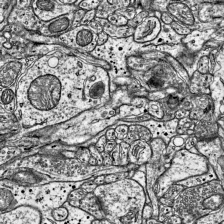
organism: Mouse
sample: Visual Cortex